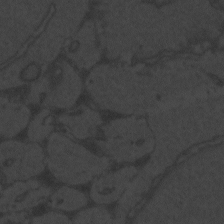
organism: Zebrafish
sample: Macrophage infected with Toxoplasma gondii